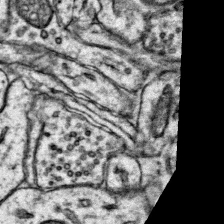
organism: Mouse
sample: Primary visual cortex